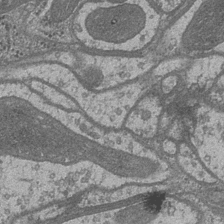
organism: Drosophila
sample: Optic medulla